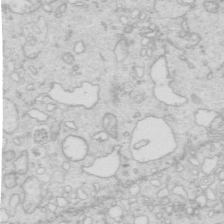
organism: Mouse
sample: Multiciliated cells